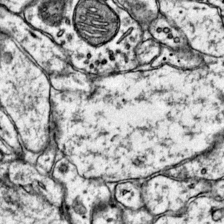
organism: Mouse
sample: Primary visual cortex